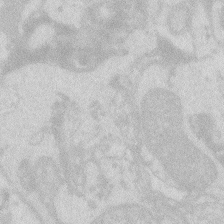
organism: Zebrafish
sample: Macrophage